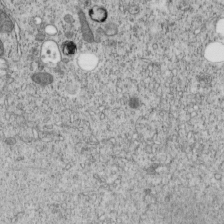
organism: C. elegans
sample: C. elegans embryo early stage